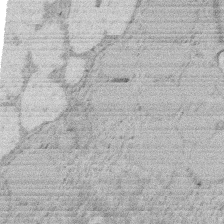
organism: Rat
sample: Salivary granule